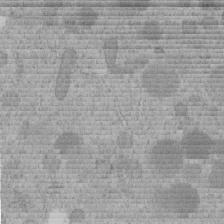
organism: C. elegans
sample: C. elegans embryo early stage